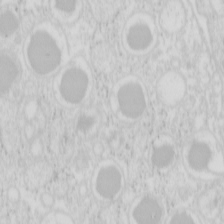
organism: Mouse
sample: Pancreas